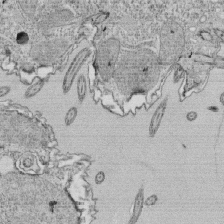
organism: Tetrahymena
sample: Cilia in tetrahymena